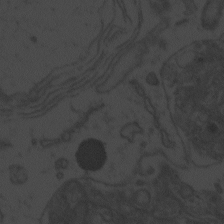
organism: Zebrafish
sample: Macrophage infected with Toxoplasma gondii